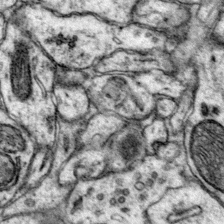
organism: Mouse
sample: Primary visual cortex